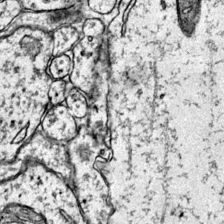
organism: Mouse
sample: Primary visual cortex